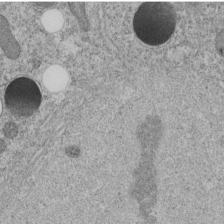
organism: C. elegans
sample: C. elegans embryo early stage